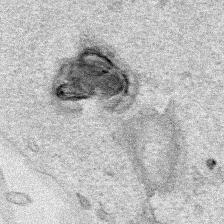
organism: Human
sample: Mitochondria in HCT116 cells